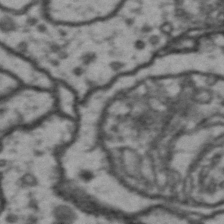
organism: Drosophila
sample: Brain